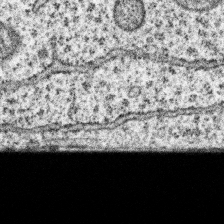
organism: Human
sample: HeLa cells